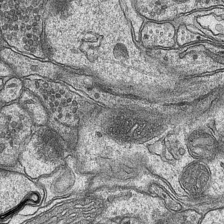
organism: Mouse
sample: CA1 Hippocampus